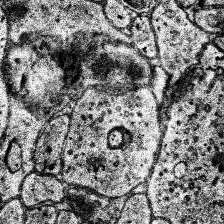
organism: Human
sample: Temporal Lobe